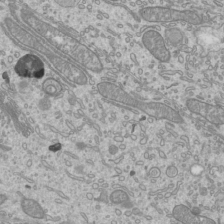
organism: Mouse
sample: Cilia; mouse epididymis